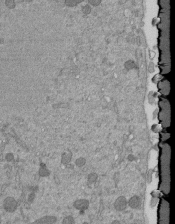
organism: Mouse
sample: ED-1 cell nuclei; centrioles